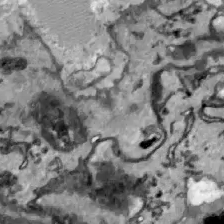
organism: Zebrafish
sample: Actinotrichia fibers